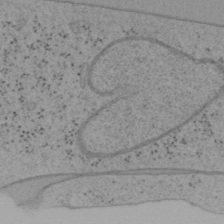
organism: Human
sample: HeLa cells